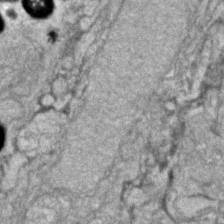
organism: Zebrafish